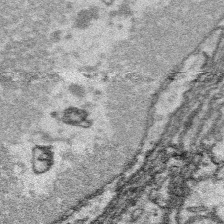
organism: Platynereis dumerilii